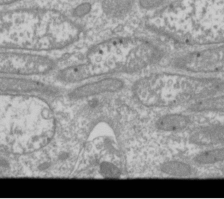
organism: Drosophila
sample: Cell division; meiosis; drosophila spermatocytes